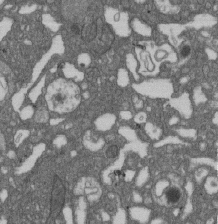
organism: Drosophila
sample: Nephrocyte